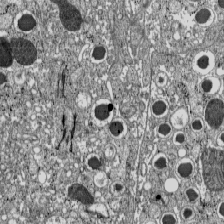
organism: C57BL Mouse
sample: Pancreatic islet